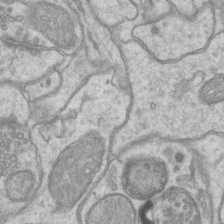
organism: Mouse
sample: CA1 Hippocampus